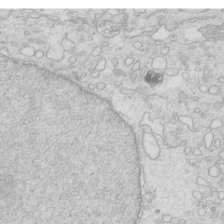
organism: Mouse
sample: Multiciliated cells